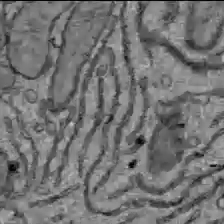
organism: C57BL Mouse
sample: Liver